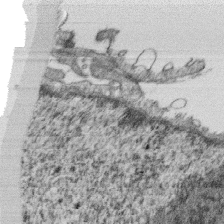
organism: African green monkey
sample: Vero E6 cells infected with SARS-CoV-2